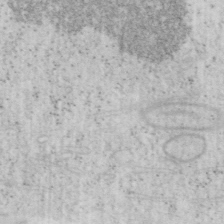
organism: Human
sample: HeLa cells